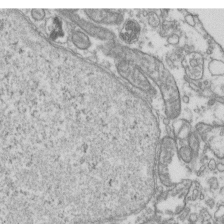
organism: Human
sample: Activated Jurkat CD4+ T cells